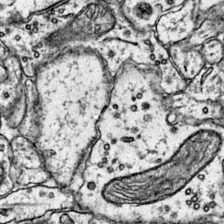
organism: Mouse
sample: Primary visual cortex